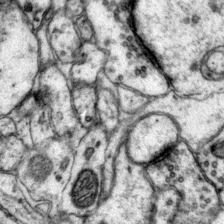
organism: Mouse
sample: Primary visual cortex